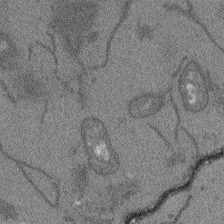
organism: Arabidopsis thaliana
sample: Root tip